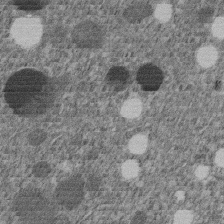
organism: C. elegans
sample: C. elegans embryo early stage